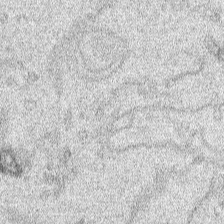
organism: Human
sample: Mitochondria in HCT116 cells